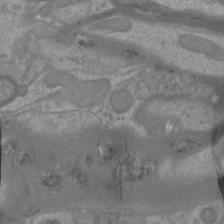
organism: Mouse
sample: Cortical neurons